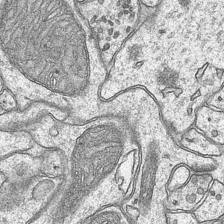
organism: Mouse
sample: CA1 Hippocampus